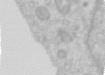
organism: Human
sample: Centriole in RPE cells